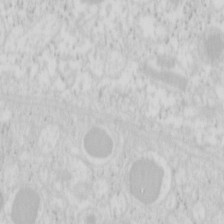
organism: Mouse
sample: Pancreas